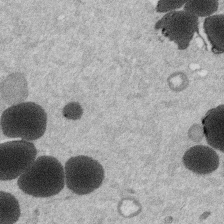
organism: Mouse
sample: Dividing mouse embryo 1 cell stage